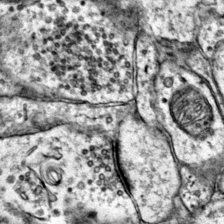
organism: Mouse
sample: Primary visual cortex